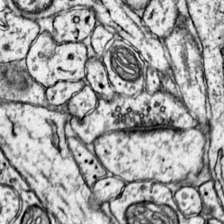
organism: Mouse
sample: Primary visual cortex